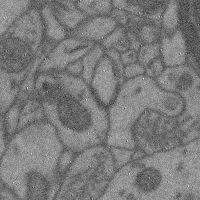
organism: Mouse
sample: Cerebral cortex